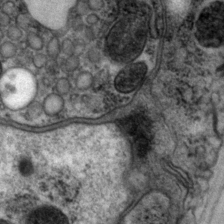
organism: P. pacificus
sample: Pharynx